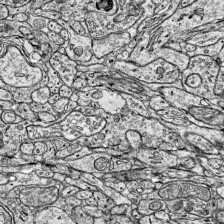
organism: Mouse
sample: Visual Cortex